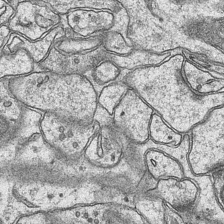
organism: Mouse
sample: CA1 Hippocampus